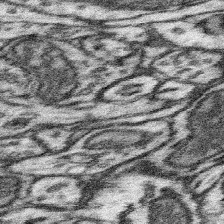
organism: Mouse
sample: Somatosensory cortex neuropil